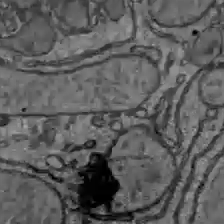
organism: C57BL Mouse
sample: Liver